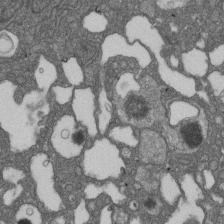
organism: Drosophila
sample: Nephrocyte